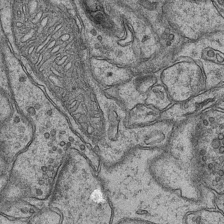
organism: Mouse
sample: CA1 Hippocampus